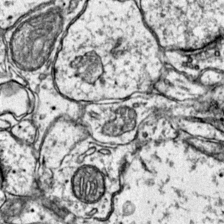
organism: Mouse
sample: Primary visual cortex